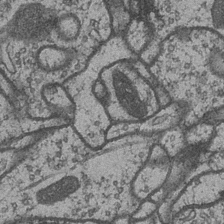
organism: Drosophila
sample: Optic medulla